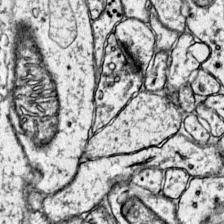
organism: Mouse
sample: Primary visual cortex